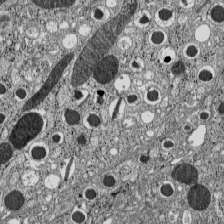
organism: C57BL Mouse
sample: Pancreatic islet